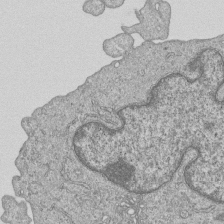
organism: Human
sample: MDA-MB-231 cells